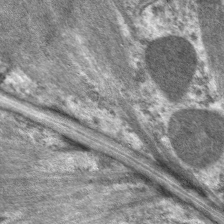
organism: C. elegans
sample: Pharynx